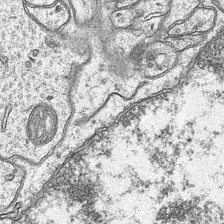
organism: Mouse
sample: CA1 Hippocampus